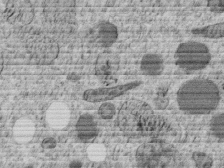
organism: C. elegans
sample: C. elegans embryo early stage